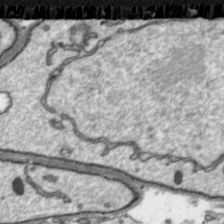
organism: Toxoplasma gondii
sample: Parasites in a vacuole inside a host cell